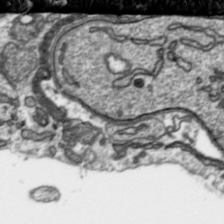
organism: Toxoplasma gondii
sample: Parasites in a vacuole inside a host cell